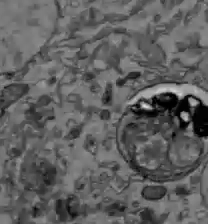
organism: C57BL Mouse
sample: Liver